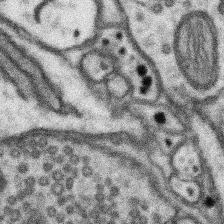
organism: Mouse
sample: Somatosensory cortex neuropil